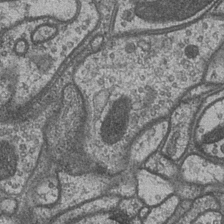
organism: Drosophila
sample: Optic medulla